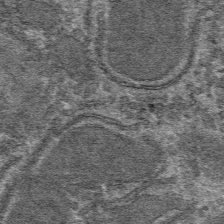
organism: Mouse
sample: Mouse hepatocytes